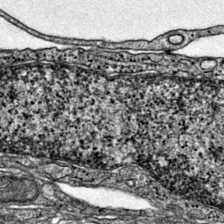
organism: Mouse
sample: Primary visual cortex